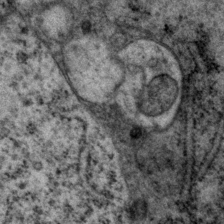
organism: P. pacificus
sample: Pharynx